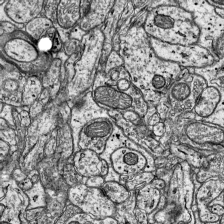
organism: Mouse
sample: Visual Cortex